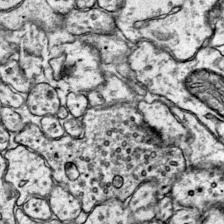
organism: Mouse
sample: Primary visual cortex